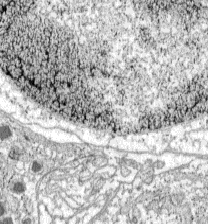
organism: C57BL Mouse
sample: Pancreatic islet